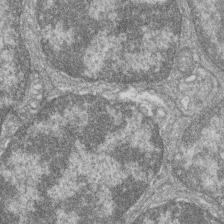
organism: Zebrafish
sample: Cilia; retinal pigment epithelium